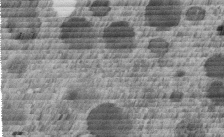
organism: C. elegans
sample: C. elegans embryo early stage